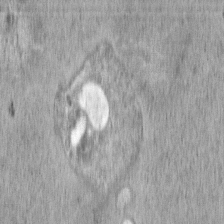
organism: Human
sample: HeLa cells